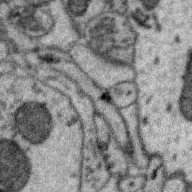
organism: Zebra finch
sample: Brain